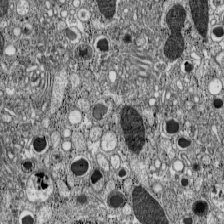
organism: C57BL Mouse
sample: Pancreatic islet